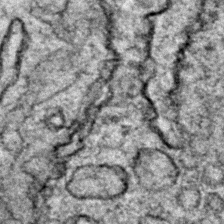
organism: Zebrafish